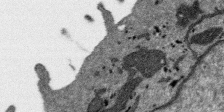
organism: Human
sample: Lung epithelial cells, uninfected (mock) control